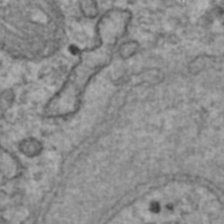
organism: Human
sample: Blood